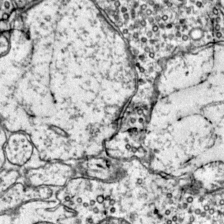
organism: Mouse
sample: Primary visual cortex